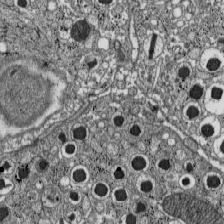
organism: C57BL Mouse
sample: Pancreatic islet